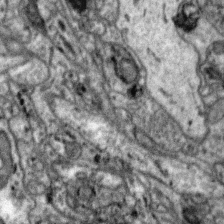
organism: Zebra finch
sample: Brain